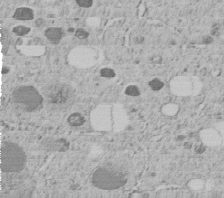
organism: C. elegans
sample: C. elegans embryo early stage